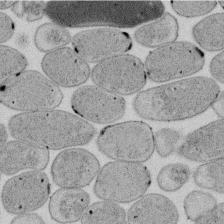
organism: E. coli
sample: Bacterial nucleoid